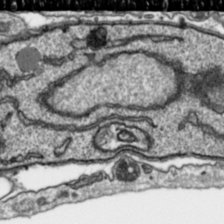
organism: Toxoplasma gondii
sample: Parasites in a vacuole inside a host cell